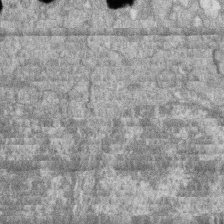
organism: Zebrafish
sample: Cilia; retinal pigment epithelium